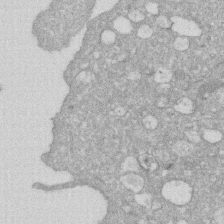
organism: Human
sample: HIV infected U937 cells